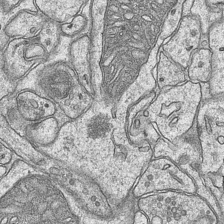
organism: Mouse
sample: CA1 Hippocampus